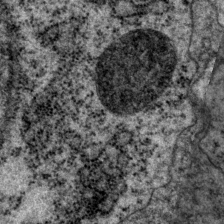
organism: P. pacificus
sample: Pharynx